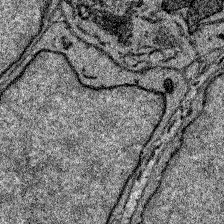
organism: Zebrafish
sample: Larval olfactory bulb